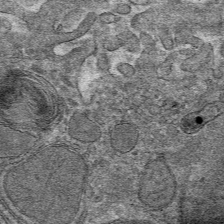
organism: Mouse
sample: Mouse hepatocytes